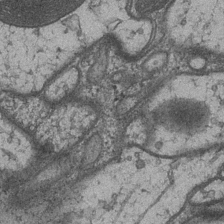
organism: Drosophila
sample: Optic medulla